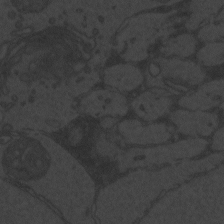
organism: Zebrafish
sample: Macrophage infected with Toxoplasma gondii